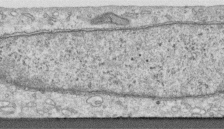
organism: Human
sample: Centriole in RPE cells